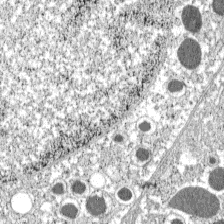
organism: C57BL Mouse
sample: Pancreatic islet